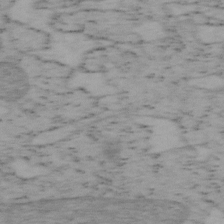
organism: Mouse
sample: OT-I killer T cells with ID8 ovarian cancer cells